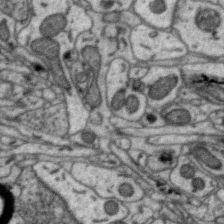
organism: Zebra finch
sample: Brain